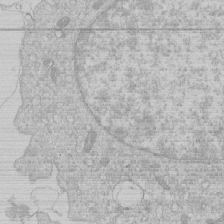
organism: Human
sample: Macrophage cells